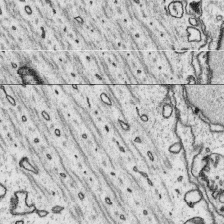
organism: Platynereis dumerilii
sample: Parapodia